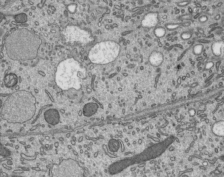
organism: Mouse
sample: Mouse epididymis efferent ductule cilia